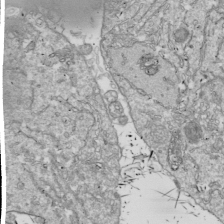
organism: Drosophila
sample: Cell division; meiosis; drosophila spermatocytes